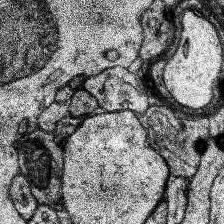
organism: Human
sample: Temporal Lobe